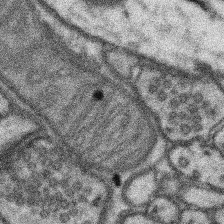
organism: Mouse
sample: Somatosensory cortex neuropil